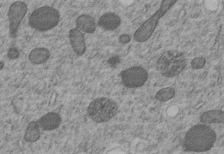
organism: C. elegans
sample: C. elegans embryo early stage